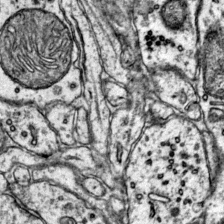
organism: Mouse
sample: Primary visual cortex